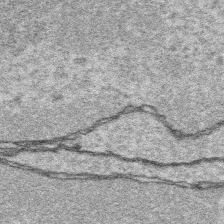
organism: Platynereis dumerilii